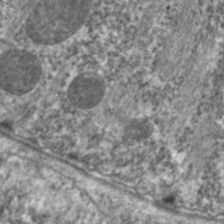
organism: C. elegans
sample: Pharynx